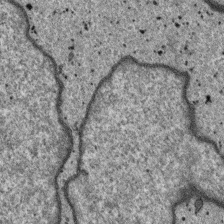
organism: Human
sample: Lung epithelial cells, uninfected (mock) control